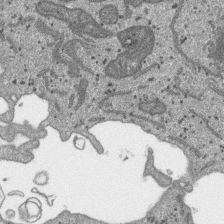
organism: Human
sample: Lung epithelial cells infected with SARS-CoV-2